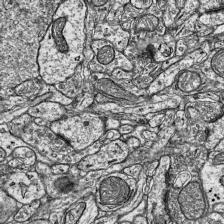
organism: Mouse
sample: Visual Cortex